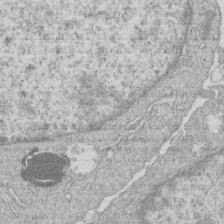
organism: Human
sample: Macrophage cells